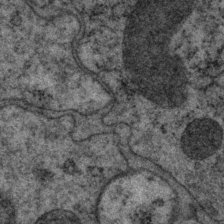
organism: P. pacificus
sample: Pharynx